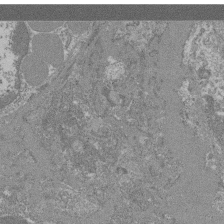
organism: Mouse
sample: Glomerulus